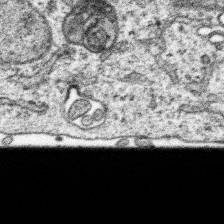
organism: Human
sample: HeLa cells